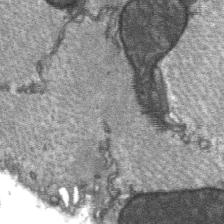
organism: C57BL Mouse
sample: Soleus